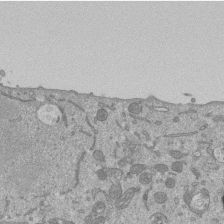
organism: Mouse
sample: ED-1 cell nuclei; centrioles